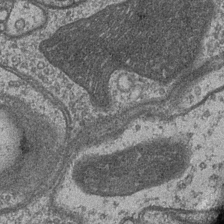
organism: Drosophila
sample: Optic medulla